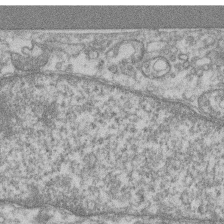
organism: Mouse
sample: T cell stromal cell synapse